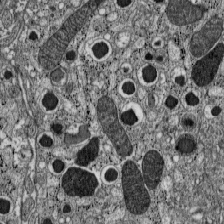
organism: C57BL Mouse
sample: Pancreatic islet